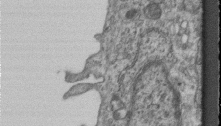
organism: Mouse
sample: Centriole in ependymal cells